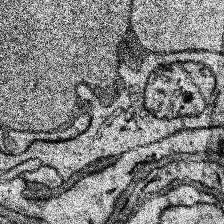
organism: Human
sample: Temporal Lobe